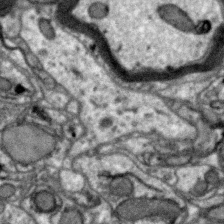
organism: Zebra finch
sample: Brain